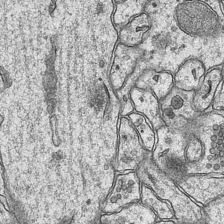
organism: Mouse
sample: CA1 Hippocampus